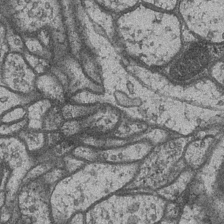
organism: Drosophila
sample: Optic medulla